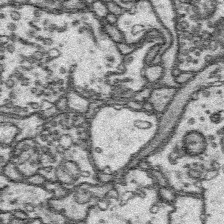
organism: Platynereis dumerilii